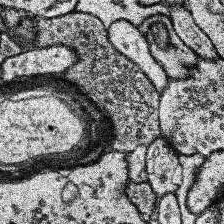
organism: Human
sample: Temporal Lobe